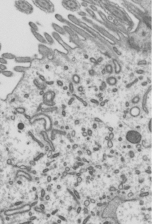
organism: Mouse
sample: Mouse epididymis efferent ductule cilia